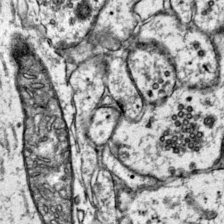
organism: Mouse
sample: Primary visual cortex